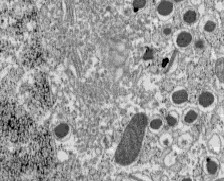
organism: C57BL Mouse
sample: Pancreatic islet